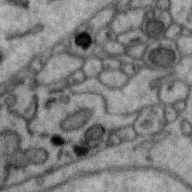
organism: Zebra finch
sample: Brain